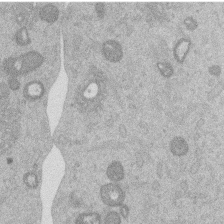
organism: Mouse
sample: Dividing mouse embryo 1 cell stage